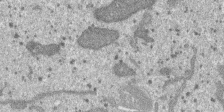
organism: Human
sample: Lung epithelial cells infected with SARS-CoV-2